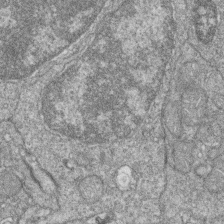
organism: Zebrafish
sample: Cilia; retinal pigment epithelium